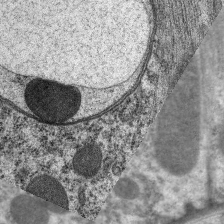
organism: C. elegans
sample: Pharynx